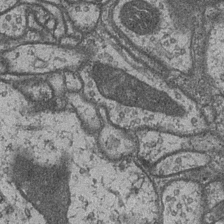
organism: Drosophila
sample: Optic medulla